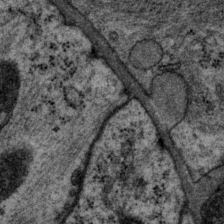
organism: P. pacificus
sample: Pharynx